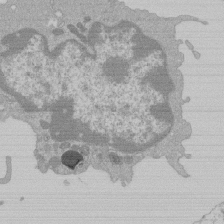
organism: Mouse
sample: Activated Pmel transgenic CD8+ T Cells